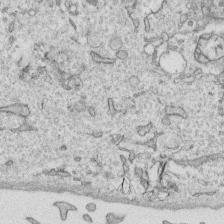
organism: Human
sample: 1205lu cells